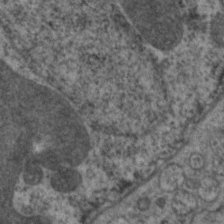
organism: C. elegans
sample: Pharynx